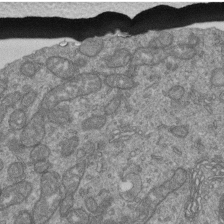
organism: Human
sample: Retinal organoid Rod and Cone cells